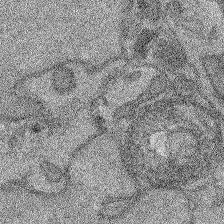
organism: Human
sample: HeLa cells